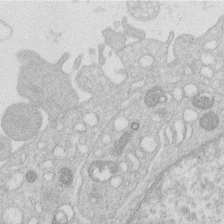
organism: Human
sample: Macrophage cells